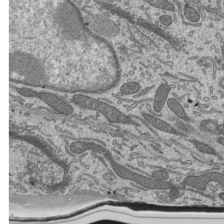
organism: Mouse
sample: Mouse epididymis efferent ductule cilia